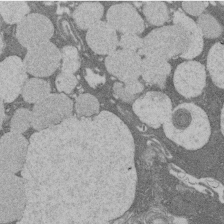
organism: Rat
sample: Salivary granule